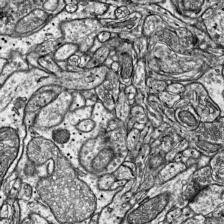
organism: Mouse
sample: Visual Cortex